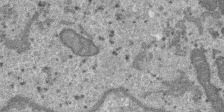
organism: Human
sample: Lung epithelial cells infected with SARS-CoV-2